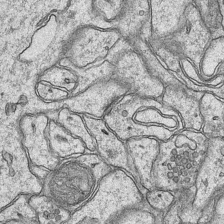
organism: Mouse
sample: CA1 Hippocampus